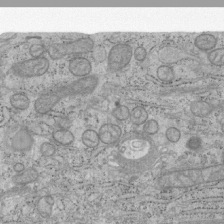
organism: Human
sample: HeLa cells